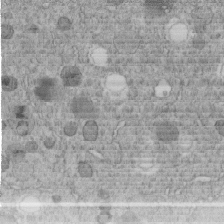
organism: C. elegans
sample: C. elegans embryo early stage